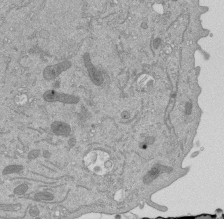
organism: Mouse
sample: ED-1 cell nuclei; centrioles